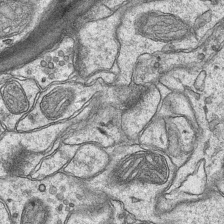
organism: Mouse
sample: CA1 Hippocampus